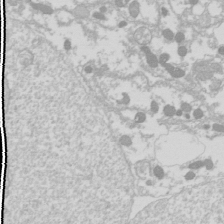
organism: Drosophila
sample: Cell division; meiosis; drosophila spermatocytes